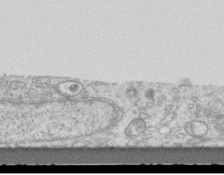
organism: Mouse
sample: Centriole in ependymal cells